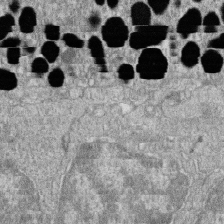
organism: Zebrafish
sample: Cilia; retinal pigment epithelium